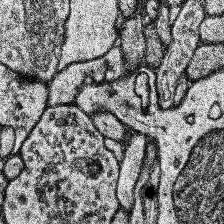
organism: Human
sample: Temporal Lobe